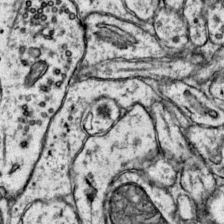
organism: Mouse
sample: Primary visual cortex